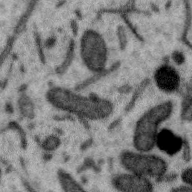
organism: Zebra finch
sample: Brain